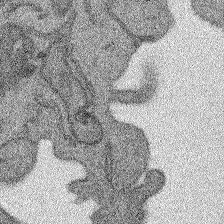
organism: Human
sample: HeLa cells